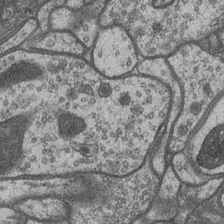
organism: Drosophila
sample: Optic medulla